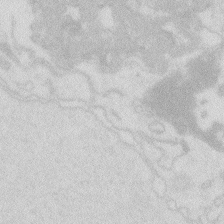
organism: Zebrafish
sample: Macrophage